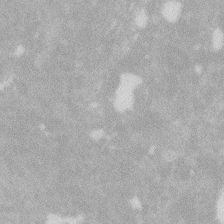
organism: Zebrafish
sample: Macrophage